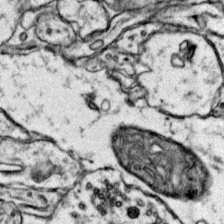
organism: Mouse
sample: Primary visual cortex